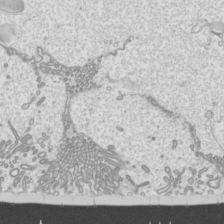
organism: Mouse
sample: Cilia; mouse epididymis